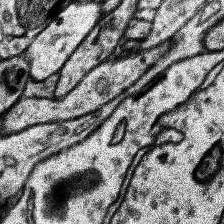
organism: Human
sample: Temporal Lobe